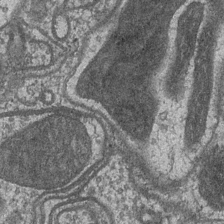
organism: Drosophila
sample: Optic medulla